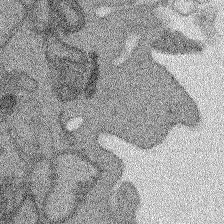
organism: Human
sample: HeLa cells